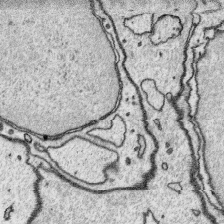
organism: Platynereis dumerilii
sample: Parapodia